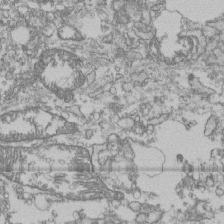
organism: Human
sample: Fibroblast cells